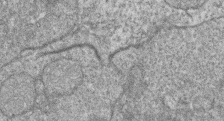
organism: Zebrafish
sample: Cilia; retinal pigment epithelium